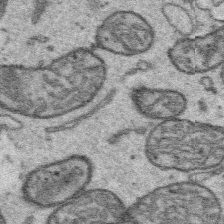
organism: Platynereis dumerilii